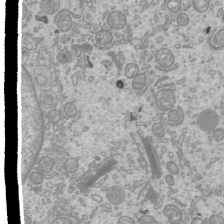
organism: Mouse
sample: Cilia; mouse epididymis